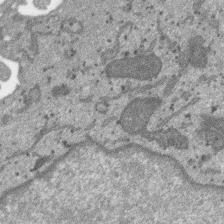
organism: Human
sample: Lung epithelial cells infected with SARS-CoV-2